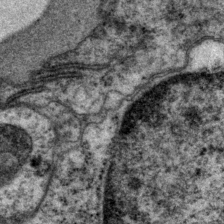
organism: P. pacificus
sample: Pharynx